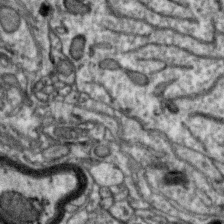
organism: Zebra finch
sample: Brain